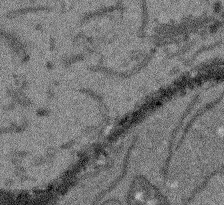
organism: Arabidopsis thaliana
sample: Root tip